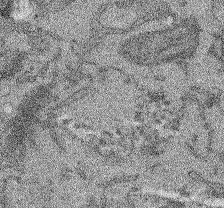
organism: Human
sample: HeLa cells